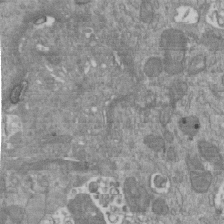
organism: Mouse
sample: ED-1 cell nuclei; centrioles